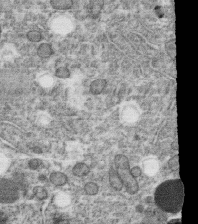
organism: C. elegans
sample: C. elegans oocyte; sperm cells